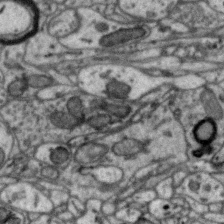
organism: Zebra finch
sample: Brain